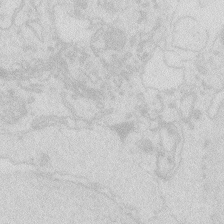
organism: Zebrafish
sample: Macrophage